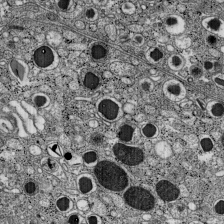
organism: C57BL Mouse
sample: Pancreatic islet